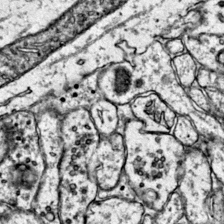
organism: Mouse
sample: Primary visual cortex